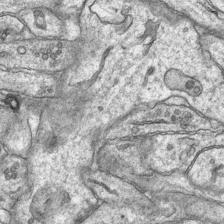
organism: Mouse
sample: CA1 Hippocampus